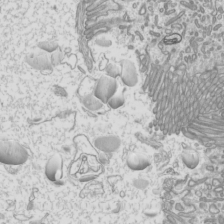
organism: Mouse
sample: Cilia; mouse epididymis